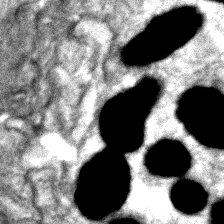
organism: Zebrafish